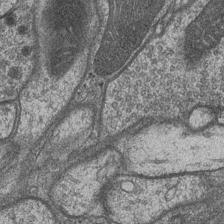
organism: Drosophila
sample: Optic medulla